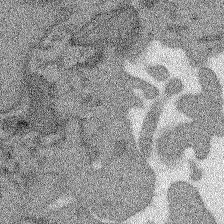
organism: Human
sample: HeLa cells